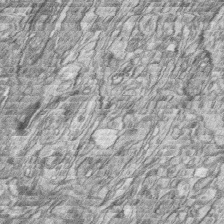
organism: Zebrafish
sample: synaptic ribbons in rod cells and cone cells